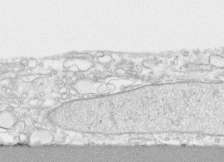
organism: Human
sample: CRL-1474